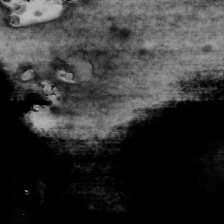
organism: Human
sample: U2-OS cells